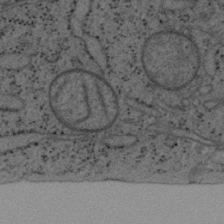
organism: Human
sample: HeLa cells